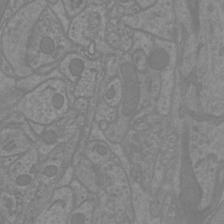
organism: Mouse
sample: Cortical neurons